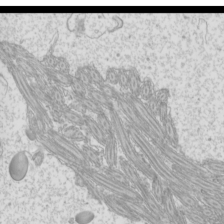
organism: Mouse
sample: Cilia; mouse epididymis